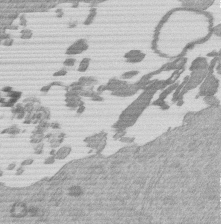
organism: Mouse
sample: Dividing mouse embryo 1 cell stage